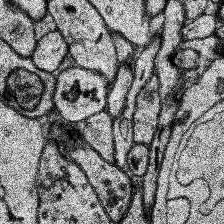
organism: Human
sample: Temporal Lobe